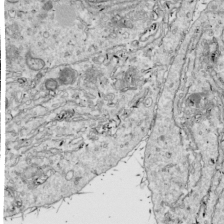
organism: Drosophila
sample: Cell division; meiosis; drosophila spermatocytes